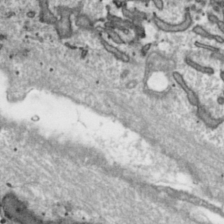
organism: Toxoplasma gondii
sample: Parasites in a vacuole inside a host cell